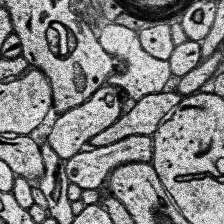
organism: Human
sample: Temporal Lobe